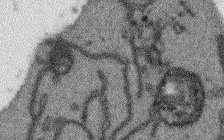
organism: Arabidopsis thaliana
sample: Root tip